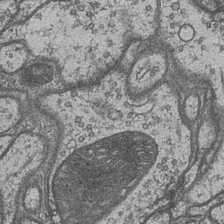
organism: Drosophila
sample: Optic medulla